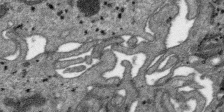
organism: Human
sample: Lung epithelial cells, uninfected (mock) control